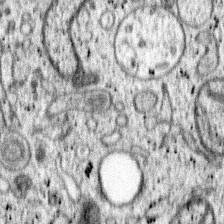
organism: Human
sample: HeLa cells